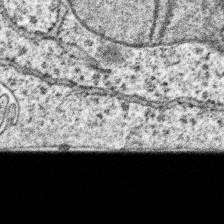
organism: Human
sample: HeLa cells